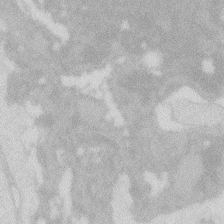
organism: Zebrafish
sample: Macrophage